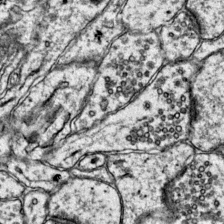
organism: Mouse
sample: Primary visual cortex